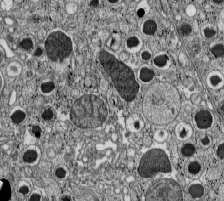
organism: C57BL Mouse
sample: Pancreatic islet